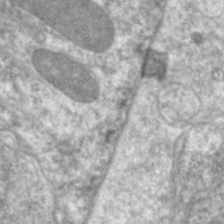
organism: C. elegans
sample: Pharynx